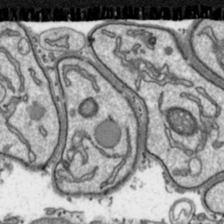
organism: Toxoplasma gondii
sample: Parasites in a vacuole inside a host cell